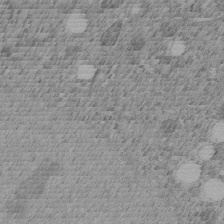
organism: C. elegans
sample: C. elegans embryo early stage